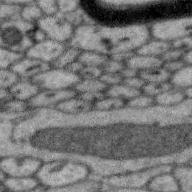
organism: Zebra finch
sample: Brain